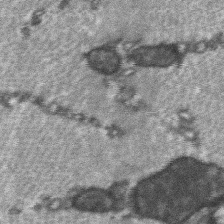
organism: C57BL Mouse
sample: Soleus